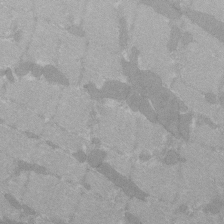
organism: C57BL Mouse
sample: Tibialis anterior muscle cell